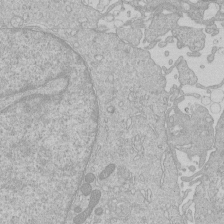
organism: Human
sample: Macrophage cells